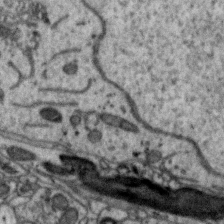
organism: Zebra finch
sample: Brain